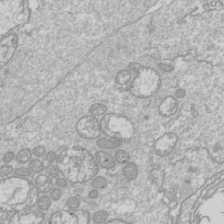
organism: Drosophila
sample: Cell division; meiosis; drosophila spermatocytes